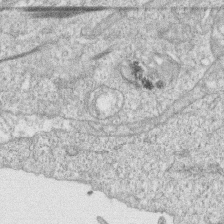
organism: Human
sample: HeLa cell HIV synapse